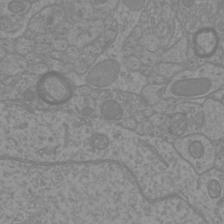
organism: Mouse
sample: Cortical neurons